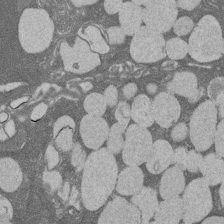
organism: Rat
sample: Salivary granule